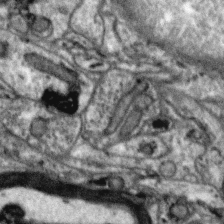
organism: Zebra finch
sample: Brain